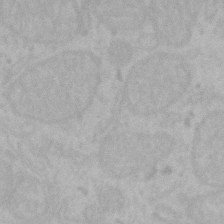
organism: Mouse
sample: Choroid plexus